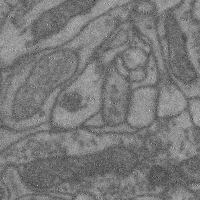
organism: Mouse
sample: Cerebral cortex